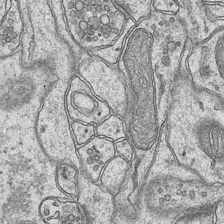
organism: Mouse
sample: CA1 Hippocampus